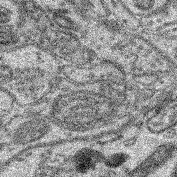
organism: Mouse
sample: Retina